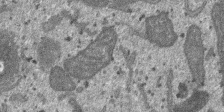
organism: Human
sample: Lung epithelial cells infected with SARS-CoV-2